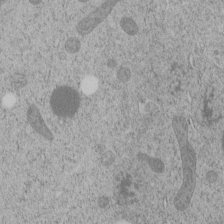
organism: C. elegans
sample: C. elegans embryo early stage